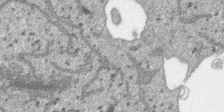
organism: Human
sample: Lung epithelial cells infected with SARS-CoV-2